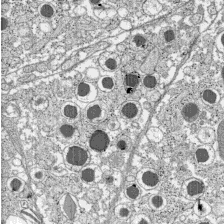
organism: C57BL Mouse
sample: Pancreatic islet